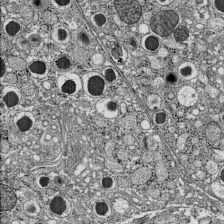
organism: C57BL Mouse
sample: Pancreatic islet